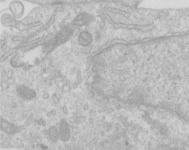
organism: Human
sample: Centriole in RPE cells